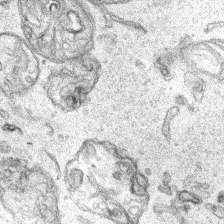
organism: Human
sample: Mitochondria in HCT116 cells